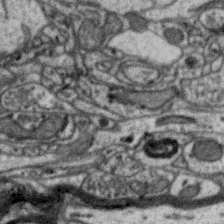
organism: Zebra finch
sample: Brain